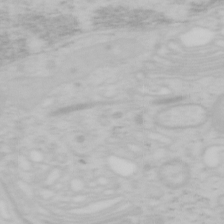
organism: Mouse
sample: OT-I killer T cells with ID8 ovarian cancer cells